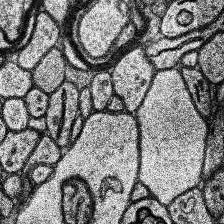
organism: Human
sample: Temporal Lobe